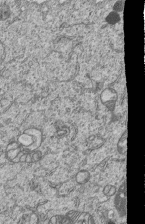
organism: Human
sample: MDA-MB-231 cells